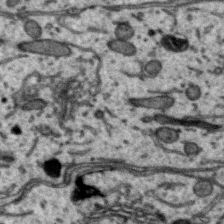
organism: Zebra finch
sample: Brain